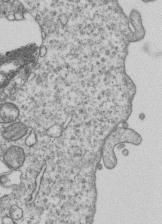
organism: Human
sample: MDA-MB-231 cells